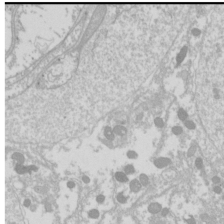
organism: Drosophila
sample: Cell division; meiosis; drosophila spermatocytes